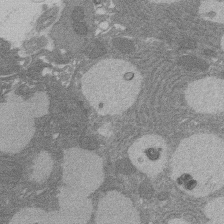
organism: Rat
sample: Salivary granule